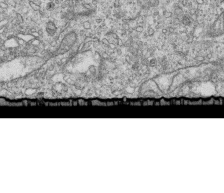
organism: Human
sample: HeLa cell HIV synapse